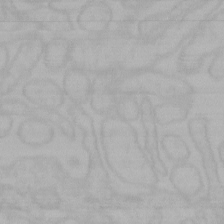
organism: Mouse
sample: Choroid plexus